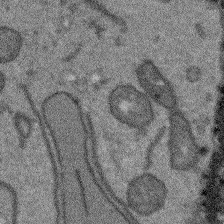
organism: Arabidopsis thaliana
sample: Root tip